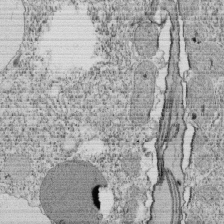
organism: Tetrahymena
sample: Cilia in tetrahymena